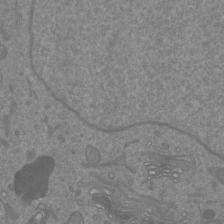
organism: Mouse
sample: Cortical neurons